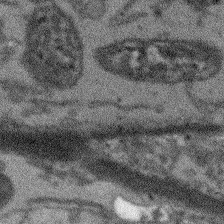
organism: Arabidopsis thaliana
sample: Root tip